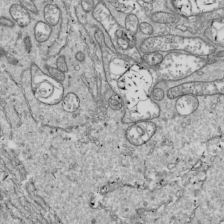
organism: Drosophila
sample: Cell division; meiosis; drosophila spermatocytes